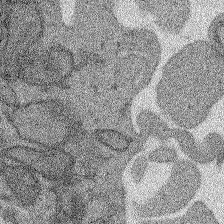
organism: Human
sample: HeLa cells